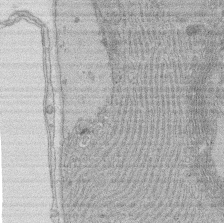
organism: Rat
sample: Salivary granule